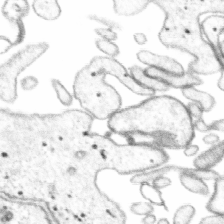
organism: Human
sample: HeLa cells